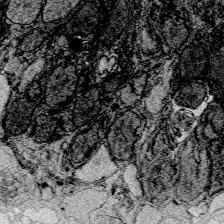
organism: Zebrafish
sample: Whole-Brain